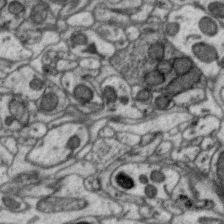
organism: Zebra finch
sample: Brain